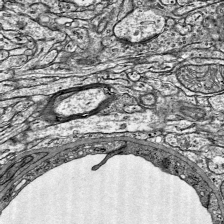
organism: Mouse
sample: Visual Cortex